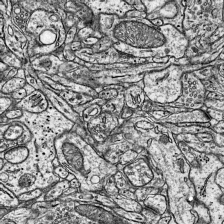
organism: Mouse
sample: Visual Cortex